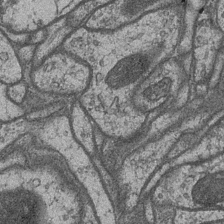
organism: Drosophila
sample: Optic medulla